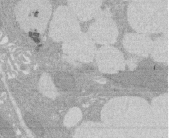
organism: Rat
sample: Salivary granule